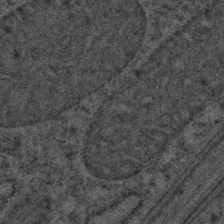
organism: C. elegans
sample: C. elegans embryo